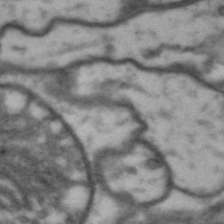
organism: Drosophila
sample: Brain